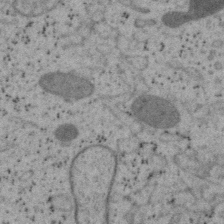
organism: Human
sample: HeLa cells